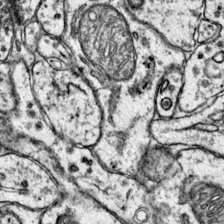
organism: Mouse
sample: Primary visual cortex